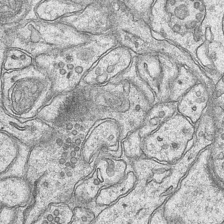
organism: Mouse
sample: CA1 Hippocampus